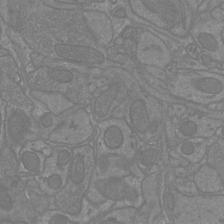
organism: Mouse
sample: Cortical neurons